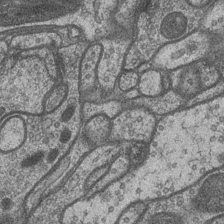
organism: Drosophila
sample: Optic medulla